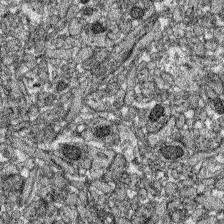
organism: Zebrafish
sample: Larval olfactory bulb